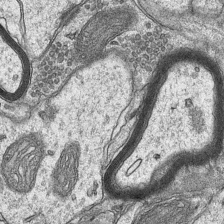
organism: Mouse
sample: CA1 Hippocampus